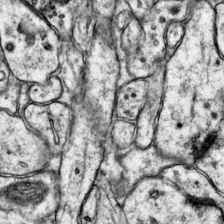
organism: Mouse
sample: Primary visual cortex